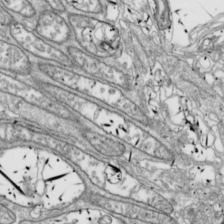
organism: Drosophila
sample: Cell division; meiosis; drosophila spermatocytes